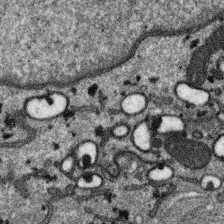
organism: Human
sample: Lung epithelial cells infected with SARS-CoV-2